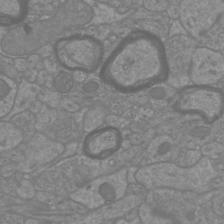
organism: Mouse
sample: Cortical neurons